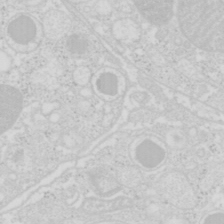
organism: Mouse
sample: Pancreas